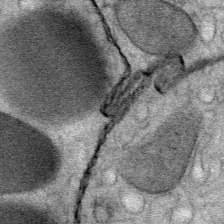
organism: Mouse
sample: Mouse Salivary gland